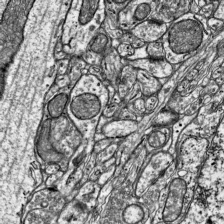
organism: Mouse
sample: Visual Cortex